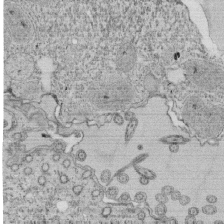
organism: Tetrahymena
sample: Cilia in tetrahymena